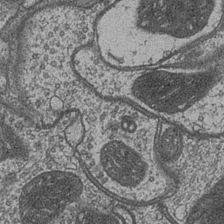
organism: Drosophila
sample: Optic medulla